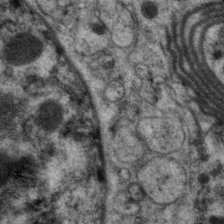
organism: C. elegans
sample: Pharynx